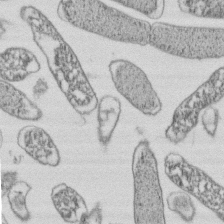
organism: E. coli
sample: Bacterial nucleoid